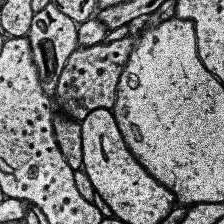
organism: Human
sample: Temporal Lobe